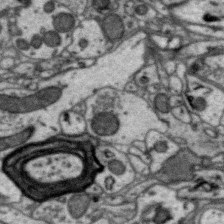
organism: Zebra finch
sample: Brain